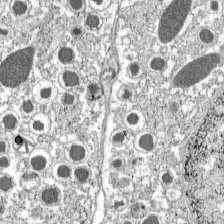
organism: C57BL Mouse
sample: Pancreatic islet